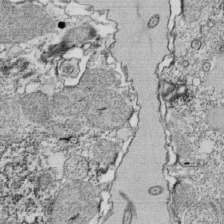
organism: Tetrahymena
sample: Cilia in tetrahymena